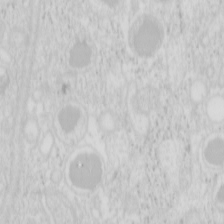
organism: Mouse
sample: Pancreas